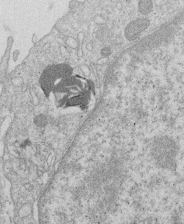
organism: Human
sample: Macrophage cells